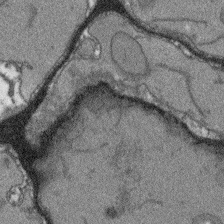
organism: Arabidopsis thaliana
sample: Root tip